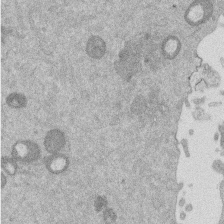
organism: Mouse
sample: Dividing mouse embryo 1 cell stage